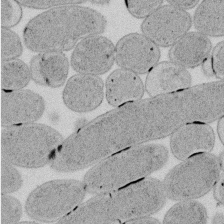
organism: E. coli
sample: Bacterial nucleoid